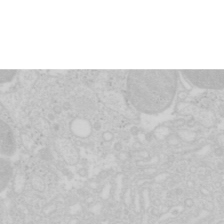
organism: Mouse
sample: Pancreas